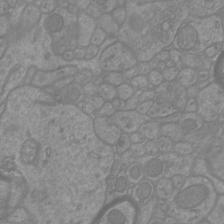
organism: Mouse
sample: Cortical neurons